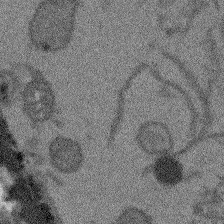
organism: Arabidopsis thaliana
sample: Root tip